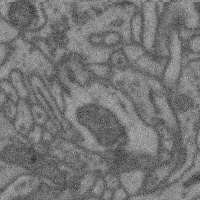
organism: Mouse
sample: Cerebral cortex